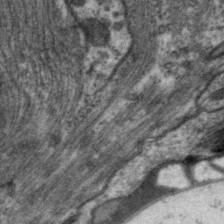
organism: C. elegans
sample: Pharynx